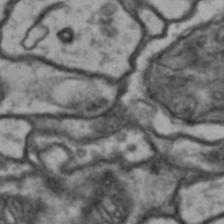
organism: Drosophila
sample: Brain